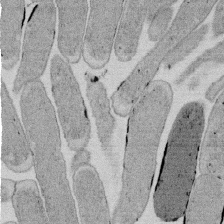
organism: E. coli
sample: Bacterial nucleoid